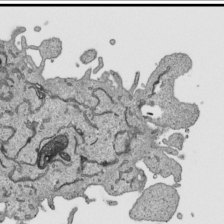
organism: Human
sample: Mitochondria in HCT116 cells